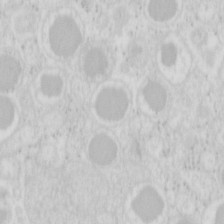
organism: Mouse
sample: Pancreas